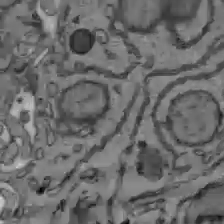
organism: C57BL Mouse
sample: Liver